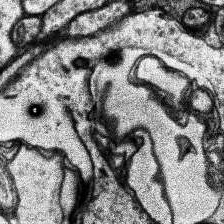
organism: Human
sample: Temporal Lobe